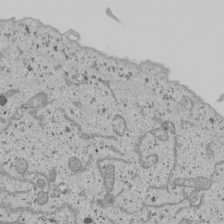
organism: Human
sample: Mitochondria in U2OS cells